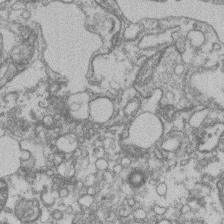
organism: Mouse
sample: T cell stromal cell synapse